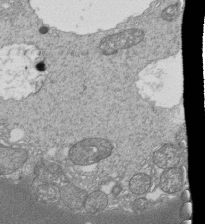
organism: Tetrahymena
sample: Cilia in tetrahymena